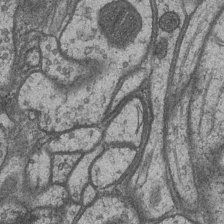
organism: Drosophila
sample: Optic medulla